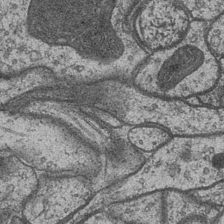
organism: Drosophila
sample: Optic medulla